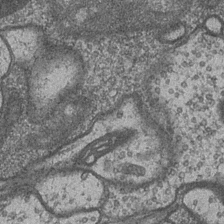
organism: Drosophila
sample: Optic medulla